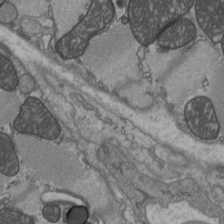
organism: C57BL Mouse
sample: Heart